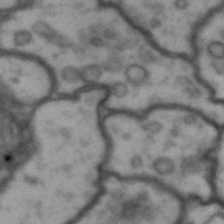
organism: Drosophila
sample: Brain